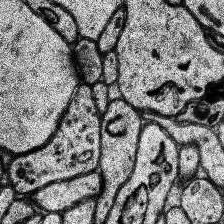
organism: Human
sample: Temporal Lobe